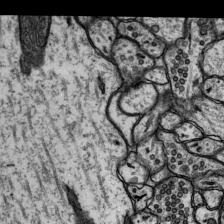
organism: Rat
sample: Hippocampus